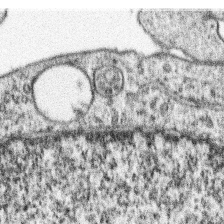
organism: Human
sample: HeLa cells